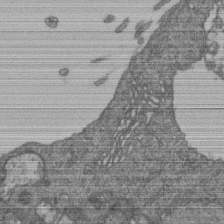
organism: Human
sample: Retinal organoid Rod and Cone cells